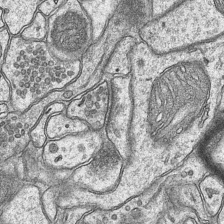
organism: Mouse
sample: CA1 Hippocampus